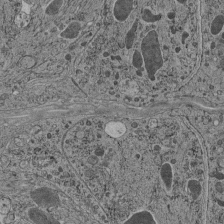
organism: C. elegans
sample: C. elegans pharynx